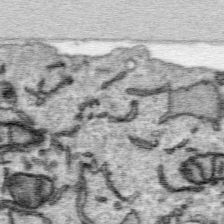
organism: Human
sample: HeLa cells